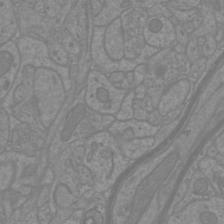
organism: Mouse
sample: Cortical neurons